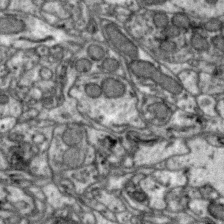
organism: Zebra finch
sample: Brain